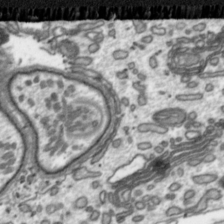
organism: Toxoplasma gondii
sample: Parasites in a vacuole inside a host cell